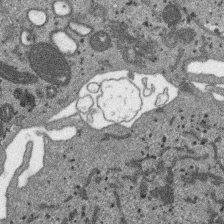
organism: Human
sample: Lung epithelial cells infected with SARS-CoV-2